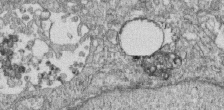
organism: Human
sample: HeLa cell HIV synapse